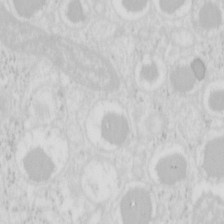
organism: Mouse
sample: Pancreas